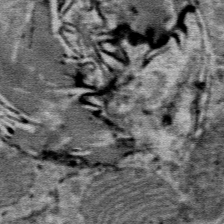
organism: Mouse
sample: Mouse Salivary gland